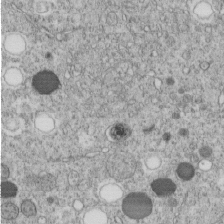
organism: C. elegans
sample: C. elegans embryo early stage